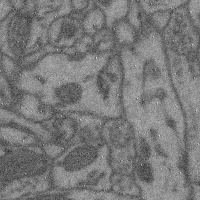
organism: Mouse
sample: Cerebral cortex